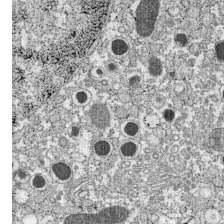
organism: C57BL Mouse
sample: Pancreatic islet